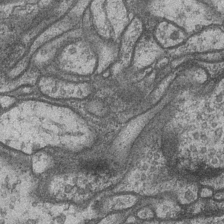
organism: Drosophila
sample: Optic medulla